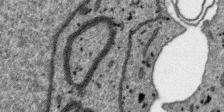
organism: Human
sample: Lung epithelial cells, uninfected (mock) control